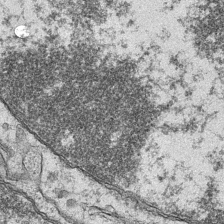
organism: Mouse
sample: CA1 Hippocampus